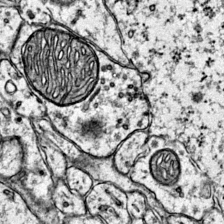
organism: Mouse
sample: Primary visual cortex